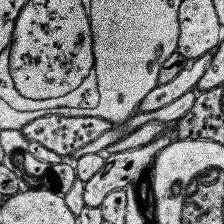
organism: Human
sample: Temporal Lobe